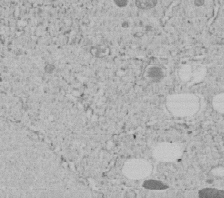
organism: C. elegans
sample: C. elegans embryo early stage